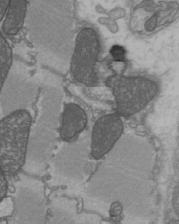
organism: C57BL Mouse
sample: Heart